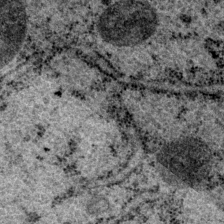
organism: P. pacificus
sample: Pharynx